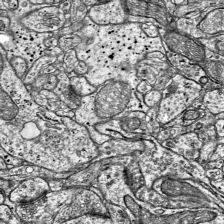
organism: Mouse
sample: Visual Cortex